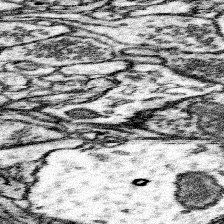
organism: Mouse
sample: Somatosensory cortex neuropil